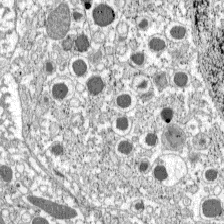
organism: C57BL Mouse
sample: Pancreatic islet